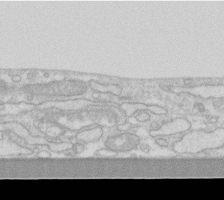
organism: Human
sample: Fibroblast cells